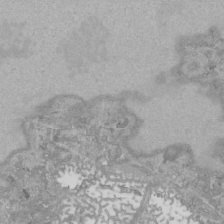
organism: Human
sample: Mitochondria in HCT116 cells